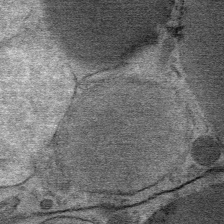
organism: Mouse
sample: Mouse Salivary gland